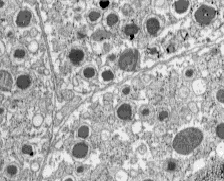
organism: C57BL Mouse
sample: Pancreatic islet